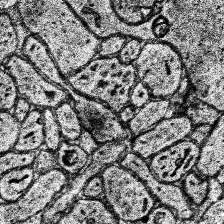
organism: Human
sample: Temporal Lobe